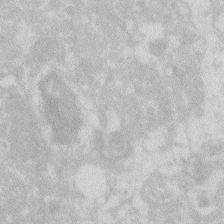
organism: Zebrafish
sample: Macrophage